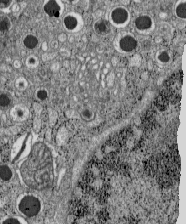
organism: C57BL Mouse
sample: Pancreatic islet